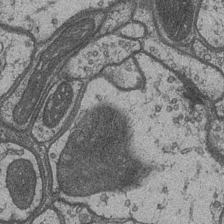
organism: Drosophila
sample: Optic medulla